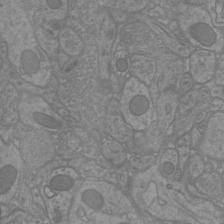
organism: Mouse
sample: Cortical neurons